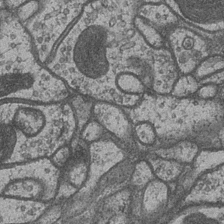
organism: Drosophila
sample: Optic medulla